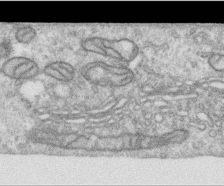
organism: Human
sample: Centriole in RPE cells